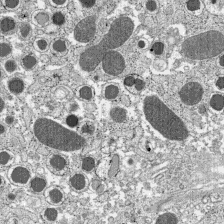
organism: C57BL Mouse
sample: Pancreatic islet